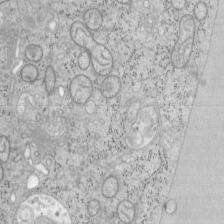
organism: Mouse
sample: OT-I killer T cells with ID8 ovarian cancer cells